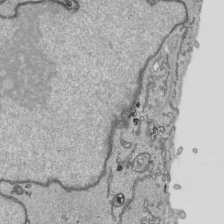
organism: Human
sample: Mitochondria in HCT116 cells